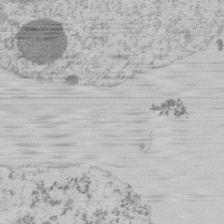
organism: Mouse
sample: Activated Pmel transgenic CD8+ T Cells